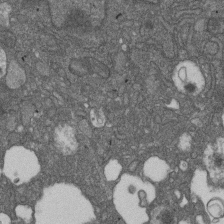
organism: Drosophila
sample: Nephrocyte